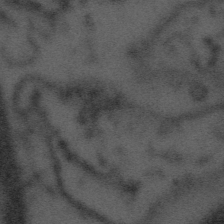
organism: Tuwongella immobilis